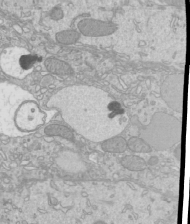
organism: Mouse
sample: Cilia; mouse epididymis